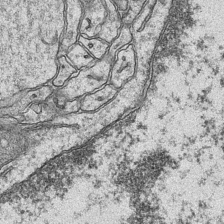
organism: Mouse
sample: CA1 Hippocampus